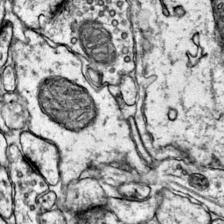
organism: Mouse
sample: Primary visual cortex